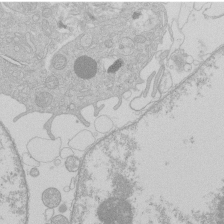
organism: Human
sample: Macrophage cells